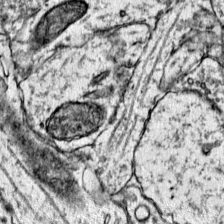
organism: Mouse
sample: Primary visual cortex